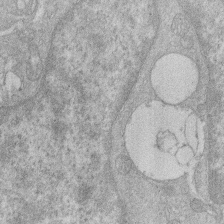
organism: Human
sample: Macrophage cells